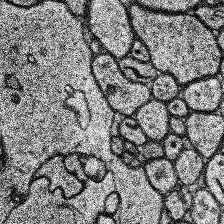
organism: Human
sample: Temporal Lobe